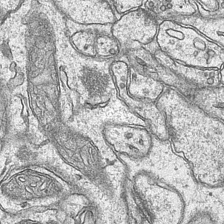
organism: Mouse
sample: CA1 Hippocampus